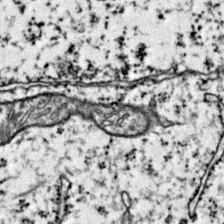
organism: Mouse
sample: Primary visual cortex